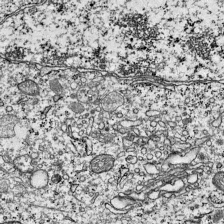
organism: Mouse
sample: Visual Cortex